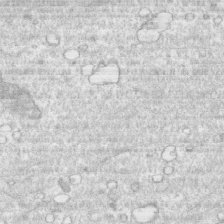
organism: Human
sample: CRL-1474